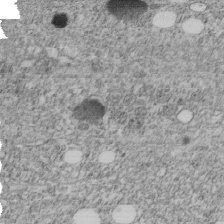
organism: C. elegans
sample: C. elegans embryo early stage